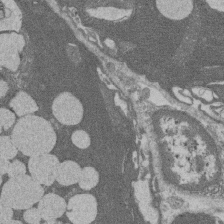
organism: Rat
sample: Salivary granule